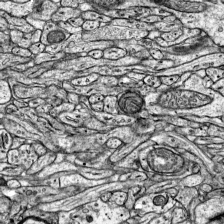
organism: Mouse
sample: Visual Cortex